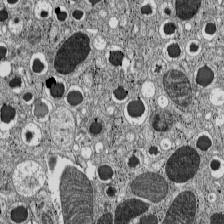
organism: C57BL Mouse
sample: Pancreatic islet